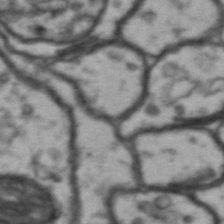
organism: Drosophila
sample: Brain